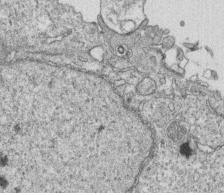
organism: Human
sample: HeLa cell HIV synapse